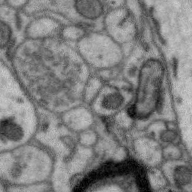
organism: Zebra finch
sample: Brain